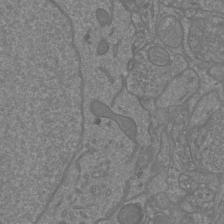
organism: Mouse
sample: Cortical neurons